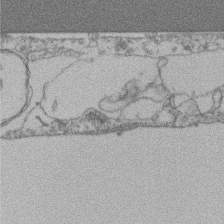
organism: Mouse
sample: T cell stromal cell synapse